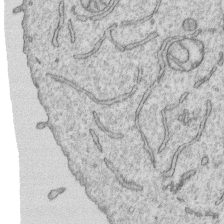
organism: Human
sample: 1205lu cells